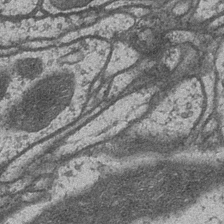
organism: Drosophila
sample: Optic medulla